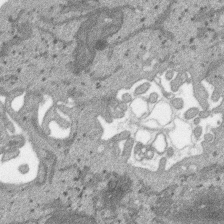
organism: Human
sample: Lung epithelial cells infected with SARS-CoV-2